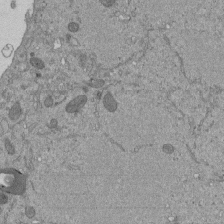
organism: Mouse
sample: ED-1 cell nuclei; centrioles